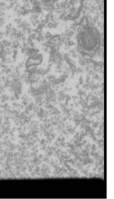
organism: Drosophila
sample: Cell division; meiosis; drosophila spermatocytes